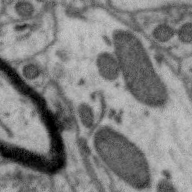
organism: Zebra finch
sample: Brain